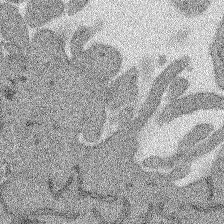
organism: Human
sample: HeLa cells